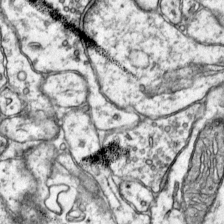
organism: Mouse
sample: Primary visual cortex